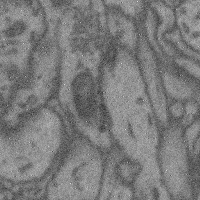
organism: Mouse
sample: Cerebral cortex